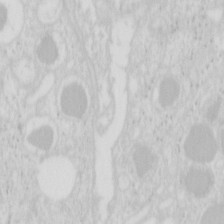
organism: Mouse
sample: Pancreas